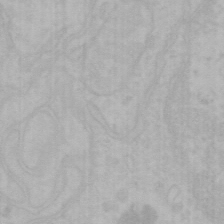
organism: Mouse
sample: Choroid plexus